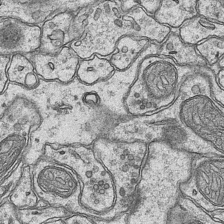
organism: Mouse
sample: CA1 Hippocampus